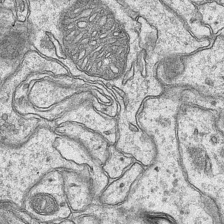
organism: Mouse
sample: CA1 Hippocampus